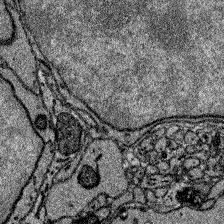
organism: Zebrafish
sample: Larval olfactory bulb